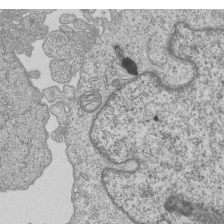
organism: Human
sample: MDA-MB-231 cells